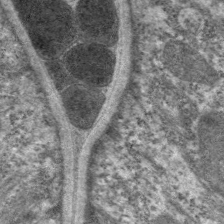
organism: C. elegans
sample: Pharynx